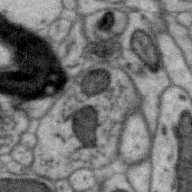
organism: Zebra finch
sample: Brain